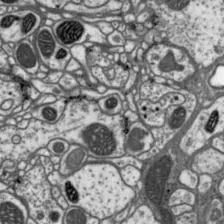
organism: Drosophila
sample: Protocerebral bridge